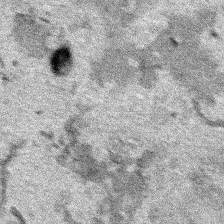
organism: Human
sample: Mitochondria in HCT116 cells